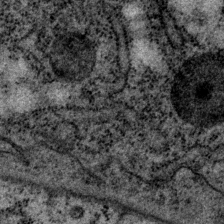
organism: P. pacificus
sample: Pharynx